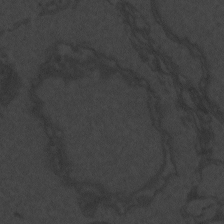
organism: Zebrafish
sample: Macrophage infected with Toxoplasma gondii